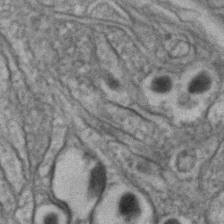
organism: C. elegans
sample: C. elegans embryo